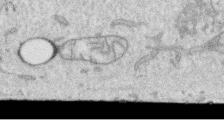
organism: Human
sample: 1205lu cells